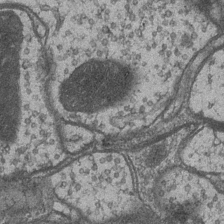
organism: Drosophila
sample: Optic medulla